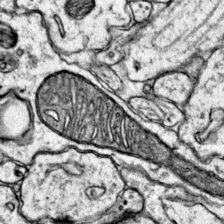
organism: Mouse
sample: Primary visual cortex